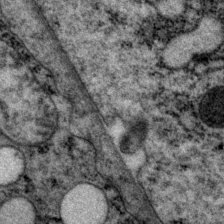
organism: P. pacificus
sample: Pharynx